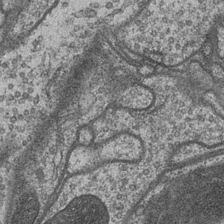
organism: Drosophila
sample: Optic medulla